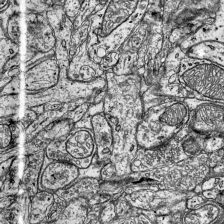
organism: Mouse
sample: Visual Cortex